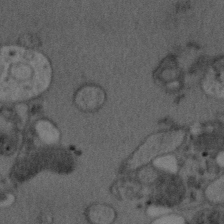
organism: Human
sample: HeLa cells